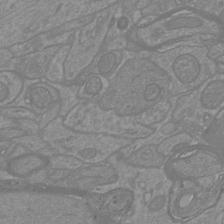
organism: Mouse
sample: Cortical neurons